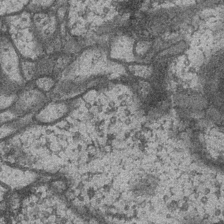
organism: Drosophila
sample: Optic medulla